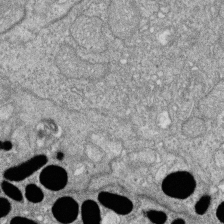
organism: Zebrafish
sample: Cilia; retinal pigment epithelium